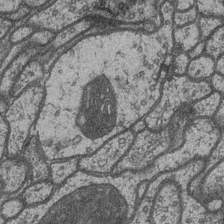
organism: Drosophila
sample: Optic medulla